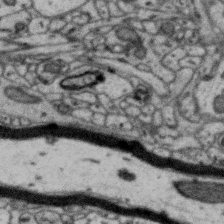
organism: Zebra finch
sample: Brain